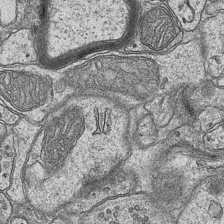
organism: Mouse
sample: CA1 Hippocampus